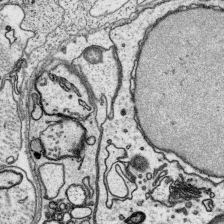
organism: Platynereis dumerilii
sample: Parapodia